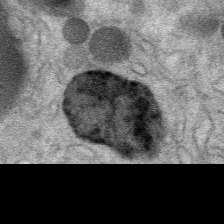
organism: Mouse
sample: Mouse Salivary gland